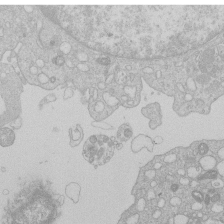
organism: Human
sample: Macrophage cells